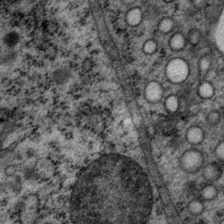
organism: P. pacificus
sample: Pharynx